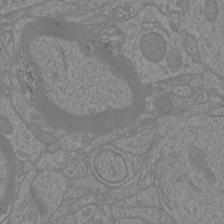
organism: Mouse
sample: Cortical neurons